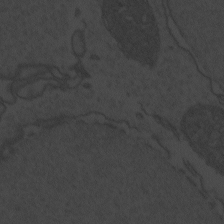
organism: Zebrafish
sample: Macrophage infected with Toxoplasma gondii